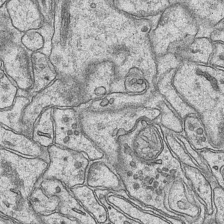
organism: Mouse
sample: CA1 Hippocampus